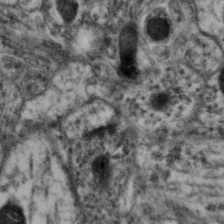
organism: Mouse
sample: Neocortex